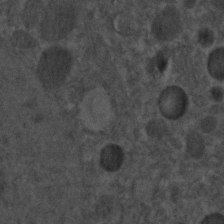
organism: C. elegans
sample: C. elegans embryo